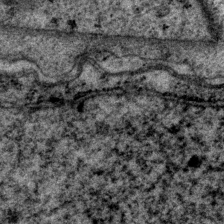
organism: P. pacificus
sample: Pharynx